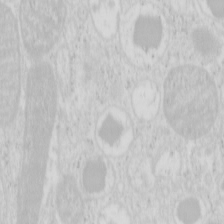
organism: Mouse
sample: Pancreas